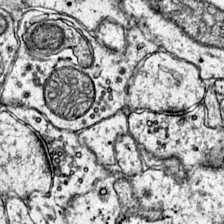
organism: Mouse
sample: Primary visual cortex